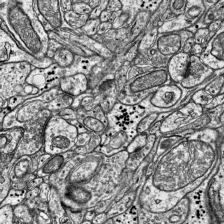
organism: Mouse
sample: Visual Cortex